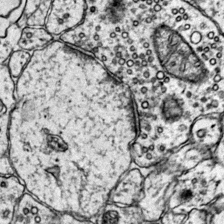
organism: Mouse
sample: Primary visual cortex